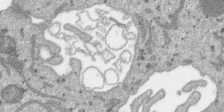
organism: Human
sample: Lung epithelial cells infected with SARS-CoV-2